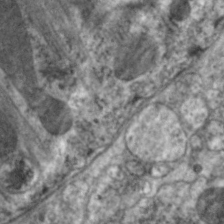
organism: C. elegans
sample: Pharynx